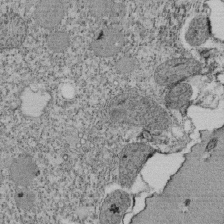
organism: Tetrahymena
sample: Cilia in tetrahymena